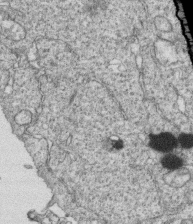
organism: Human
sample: HeLa cell HIV synapse